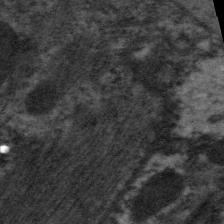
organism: C. elegans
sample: Pharynx